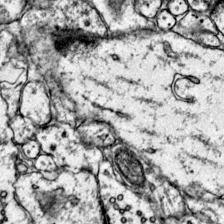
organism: Mouse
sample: Primary visual cortex